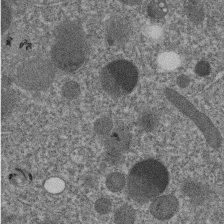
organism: C. elegans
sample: C. elegans embryo early stage